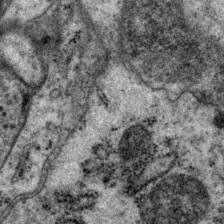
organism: P. pacificus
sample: Pharynx